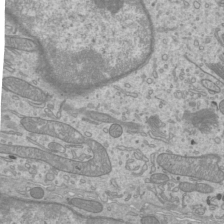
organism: Mouse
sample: Cilia; mouse epididymis